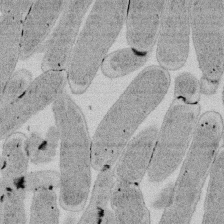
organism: E. coli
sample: Bacterial nucleoid